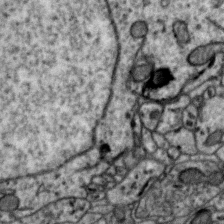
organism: Zebra finch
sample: Brain